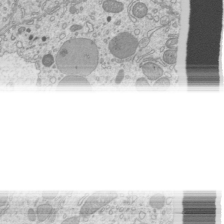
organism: Mouse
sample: Cilia; mouse epididymis